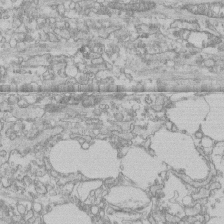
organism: Human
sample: CRL-1474